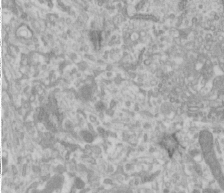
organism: Human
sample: Cilia; basal body in RPE cells